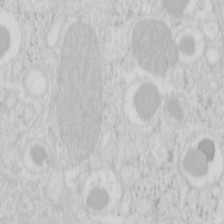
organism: Mouse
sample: Pancreas